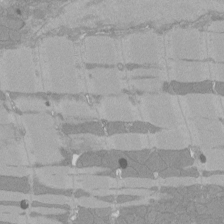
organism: Rat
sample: Left ventricle